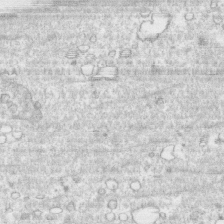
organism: Human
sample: CRL-1474